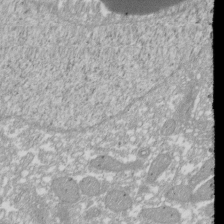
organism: Xenopus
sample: Cilia; centrioles in frog embryo cells